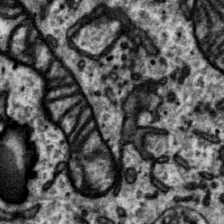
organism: Human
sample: HeLa cells